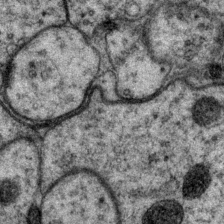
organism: P. pacificus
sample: Pharynx